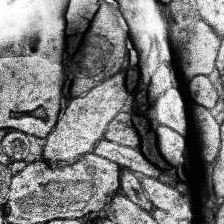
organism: Human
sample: Temporal Lobe